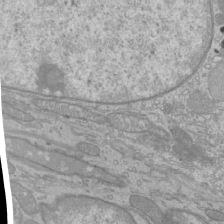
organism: Mouse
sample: Cilia; mouse epididymis